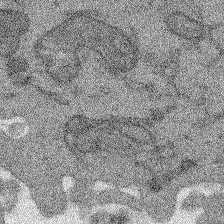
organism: Human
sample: HeLa cells